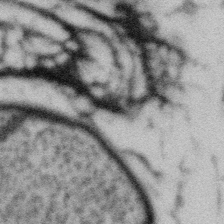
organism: Gemmata obscuriglobus